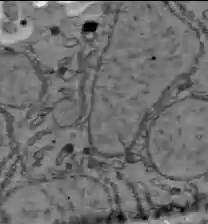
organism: C57BL Mouse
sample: Liver